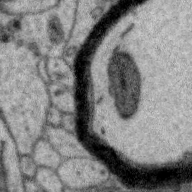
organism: Zebra finch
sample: Brain